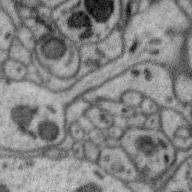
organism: Zebra finch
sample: Brain